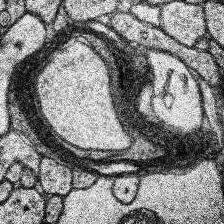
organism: Human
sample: Temporal Lobe